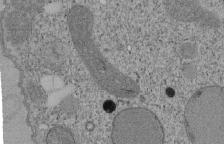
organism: Tetrahymena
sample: Cilia in tetrahymena